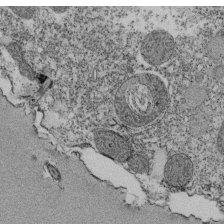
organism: Tetrahymena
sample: Cilia in tetrahymena